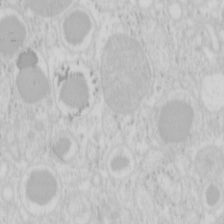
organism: Mouse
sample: Pancreas